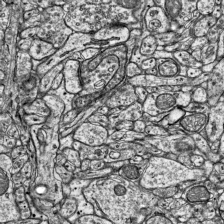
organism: Mouse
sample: Visual Cortex